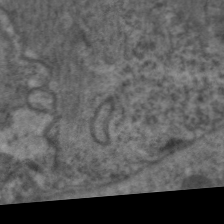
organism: C. elegans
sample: Pharynx